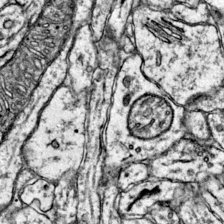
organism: Mouse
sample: Primary visual cortex